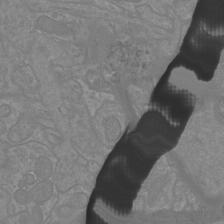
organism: Mouse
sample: Cortical neurons